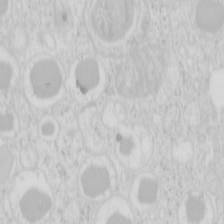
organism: Mouse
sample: Pancreas